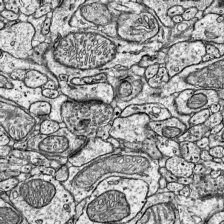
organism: Mouse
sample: Visual Cortex